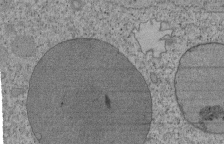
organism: Tetrahymena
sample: Cilia in tetrahymena